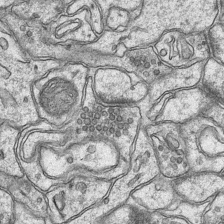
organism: Mouse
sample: CA1 Hippocampus